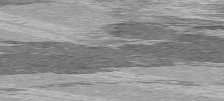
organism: C57BL Mouse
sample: Heart